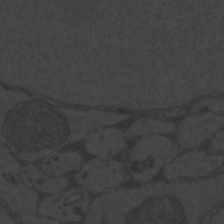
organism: Zebrafish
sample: Macrophage infected with Toxoplasma gondii